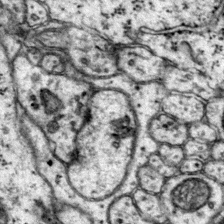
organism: Mouse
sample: Primary visual cortex